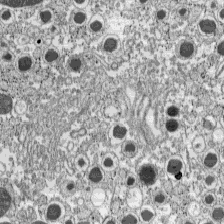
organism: C57BL Mouse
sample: Pancreatic islet